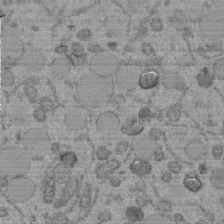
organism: C. elegans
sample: C. elegans embryo early stage